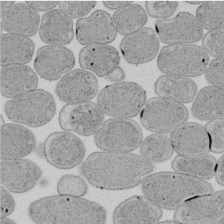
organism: E. coli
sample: Bacterial nucleoid